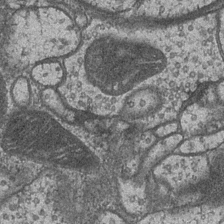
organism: Drosophila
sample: Optic medulla